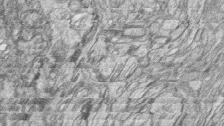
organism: Zebrafish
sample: synaptic ribbons in rod cells and cone cells